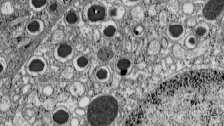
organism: C57BL Mouse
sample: Pancreatic islet